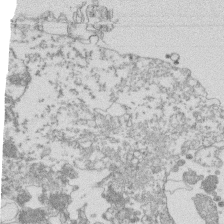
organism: Human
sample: HeLa cell HIV synapse